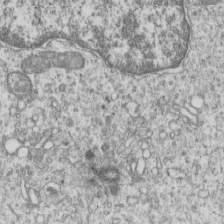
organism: Human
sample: MDA-MB-231 cells